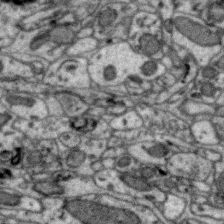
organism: Zebra finch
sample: Brain